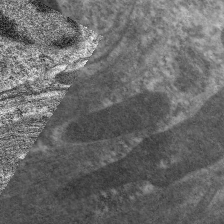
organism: C. elegans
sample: Pharynx